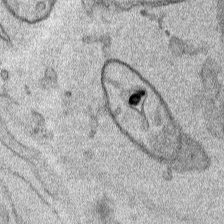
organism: Human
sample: Mitochondria in HCT116 cells